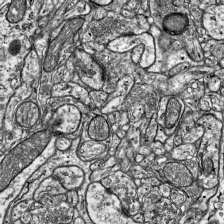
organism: Mouse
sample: Visual Cortex